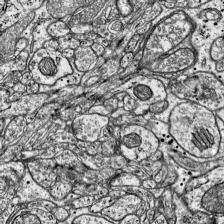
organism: Mouse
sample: Visual Cortex